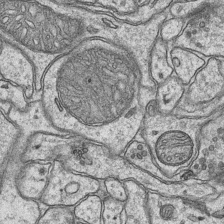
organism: Mouse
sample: CA1 Hippocampus